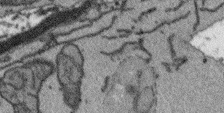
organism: Arabidopsis thaliana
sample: Root tip